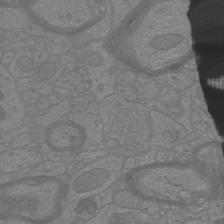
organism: Mouse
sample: Cortical neurons